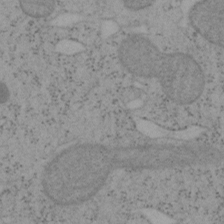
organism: Mouse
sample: OT-I killer T cells with ID8 ovarian cancer cells